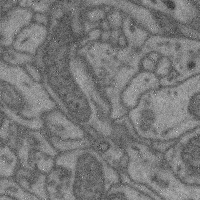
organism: Mouse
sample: Cerebral cortex